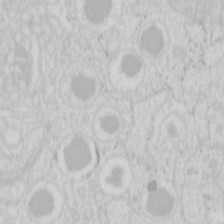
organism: Mouse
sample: Pancreas